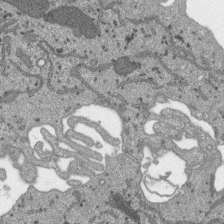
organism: Human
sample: Lung epithelial cells infected with SARS-CoV-2